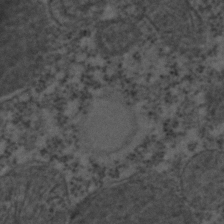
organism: C. elegans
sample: C. elegans embryo